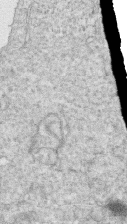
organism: Human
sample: HeLa cell HIV synapse